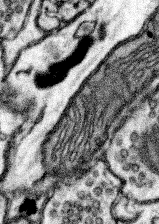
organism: Mouse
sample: Somatosensory cortex neuropil